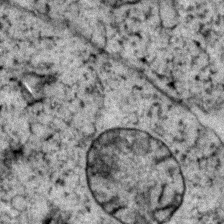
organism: Zebrafish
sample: Zebrafish embryo